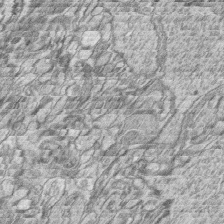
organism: Zebrafish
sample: synaptic ribbons in rod cells and cone cells